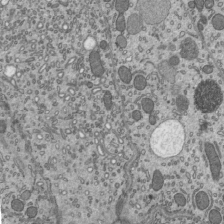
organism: Mouse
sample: Mouse epididymis efferent ductule cilia